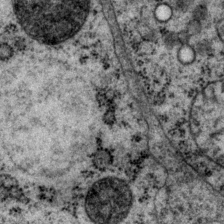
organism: P. pacificus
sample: Pharynx